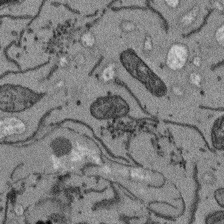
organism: Arabidopsis thaliana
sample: Root tip